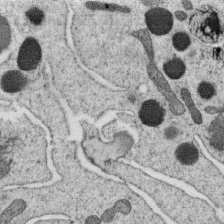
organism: C. elegans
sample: C. elegans oocyte; sperm cells